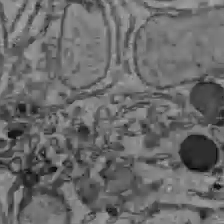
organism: C57BL Mouse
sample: Liver